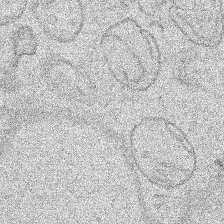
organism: Human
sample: Mitochondria in HCT116 cells